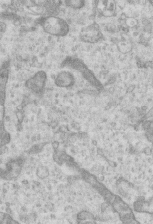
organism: Mouse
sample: Centriole in ependymal cells